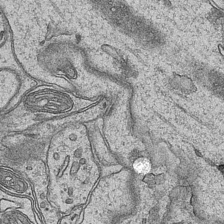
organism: Mouse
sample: CA1 Hippocampus